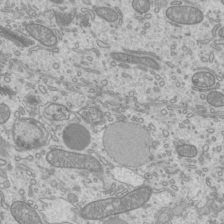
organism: Mouse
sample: Cilia; mouse epididymis